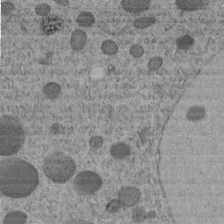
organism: C. elegans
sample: C. elegans embryo early stage